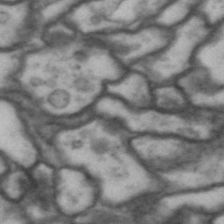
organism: Drosophila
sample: Brain